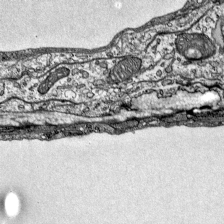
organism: Mouse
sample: Visual Cortex